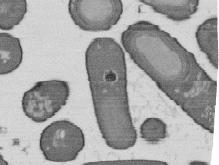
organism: B. subtilis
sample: Bacterial spore